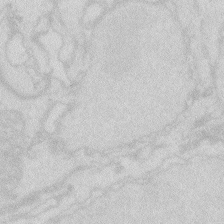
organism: Zebrafish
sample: Macrophage